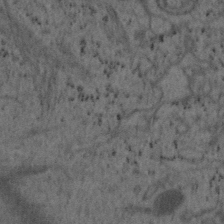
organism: Human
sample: HeLa cells